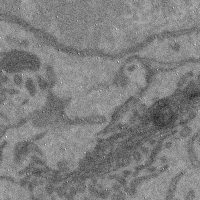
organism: Mouse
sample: Cerebral cortex